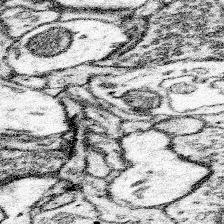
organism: Mouse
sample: Somatosensory cortex neuropil